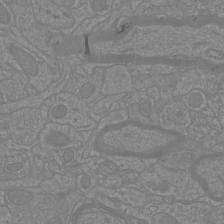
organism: Mouse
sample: Cortical neurons